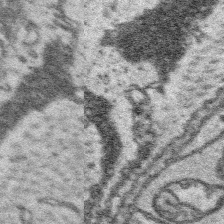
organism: Platynereis dumerilii